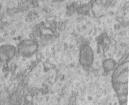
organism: Human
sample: Centriole in RPE cells